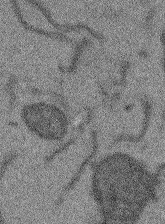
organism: Arabidopsis thaliana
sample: Root tip